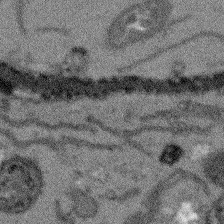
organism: Arabidopsis thaliana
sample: Root tip